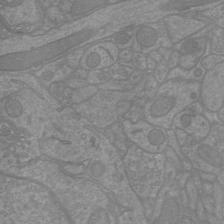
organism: Mouse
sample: Cortical neurons